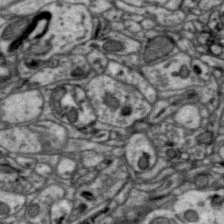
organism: Zebra finch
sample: Brain